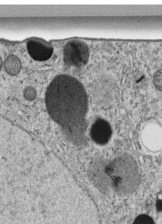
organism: C. elegans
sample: C. elegans embryo early stage